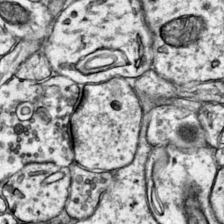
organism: Mouse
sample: Primary visual cortex